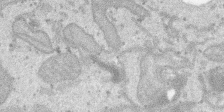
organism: Human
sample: Lung epithelial cells infected with SARS-CoV-2